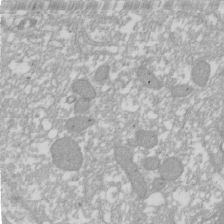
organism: Xenopus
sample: Cilia; centrioles in frog embryo cells